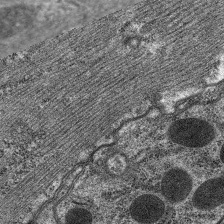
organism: C. elegans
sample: Pharynx